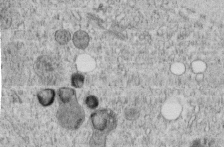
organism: C. elegans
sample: C. elegans embryo early stage